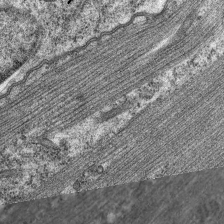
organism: C. elegans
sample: Pharynx